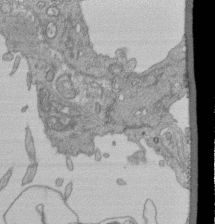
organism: Human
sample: Retinal organoid Rod and Cone cells